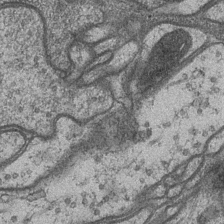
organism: Drosophila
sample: Optic medulla